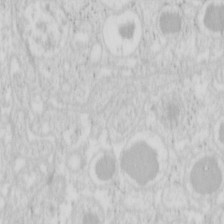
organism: Mouse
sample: Pancreas